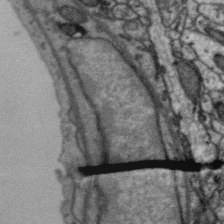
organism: Zebra finch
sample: Brain